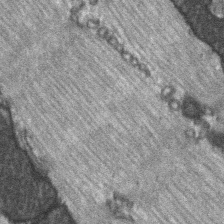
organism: C57BL Mouse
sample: Soleus